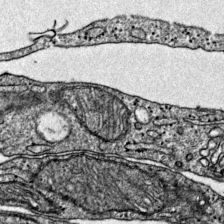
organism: Mouse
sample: Primary visual cortex